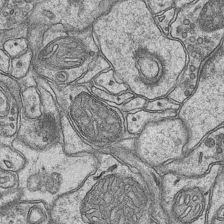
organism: Mouse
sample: CA1 Hippocampus